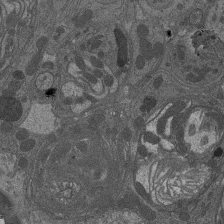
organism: Drosophila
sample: Antenna